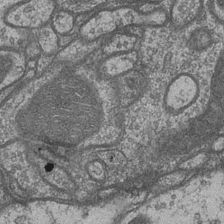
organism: Drosophila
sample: Optic medulla